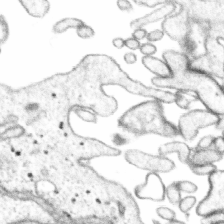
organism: Human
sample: HeLa cells